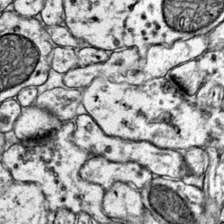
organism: Mouse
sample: Primary visual cortex